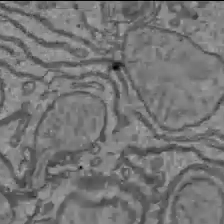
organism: C57BL Mouse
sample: Liver